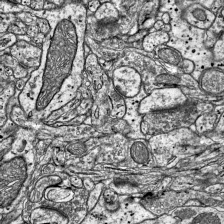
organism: Mouse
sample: Visual Cortex